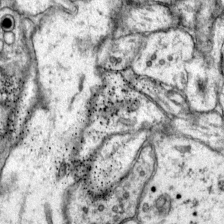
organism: Mouse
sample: Primary visual cortex